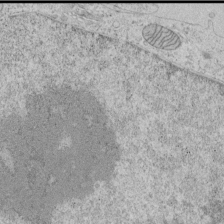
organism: Human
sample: Mitochondria in HCT116 cells